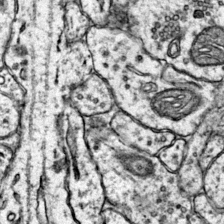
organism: Mouse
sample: Primary visual cortex